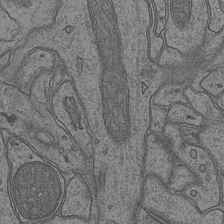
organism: Mouse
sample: CA1 Hippocampus